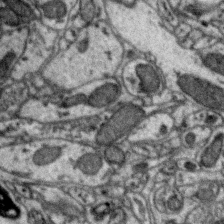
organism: Zebra finch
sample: Brain